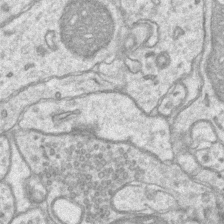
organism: Mouse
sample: CA1 Hippocampus